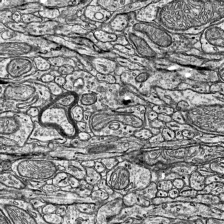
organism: Mouse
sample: Visual Cortex